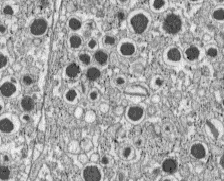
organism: C57BL Mouse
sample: Pancreatic islet